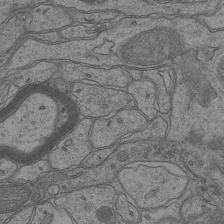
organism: Mouse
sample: CA1 Hippocampus